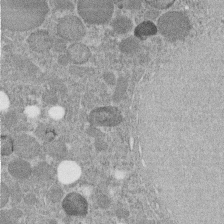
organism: C. elegans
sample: C. elegans embryo early stage